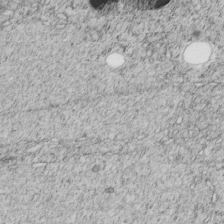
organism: C. elegans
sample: C. elegans embryo early stage